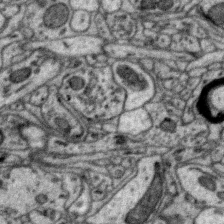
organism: Zebra finch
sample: Brain